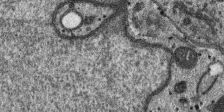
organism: Human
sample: Lung epithelial cells infected with SARS-CoV-2